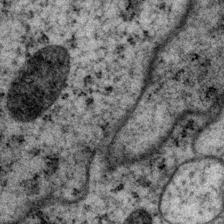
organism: P. pacificus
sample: Pharynx